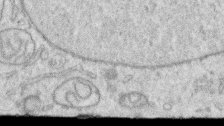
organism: Human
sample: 1205lu cells